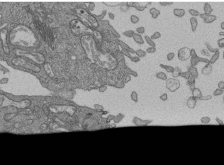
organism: Human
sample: Retinal organoid Rod and Cone cells